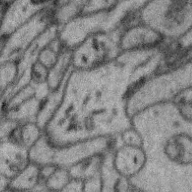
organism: Zebra finch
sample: Brain